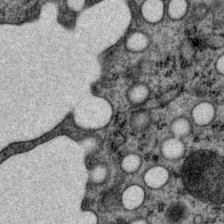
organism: P. pacificus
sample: Pharynx